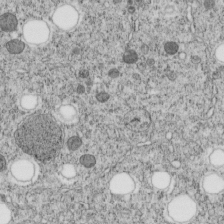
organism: C. elegans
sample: C. elegans embryo early stage